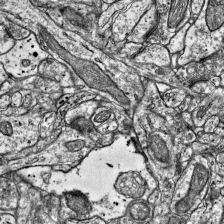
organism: Mouse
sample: Visual Cortex